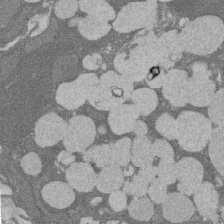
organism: Rat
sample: Salivary granule